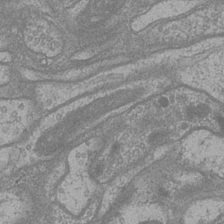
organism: Drosophila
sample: Optic medulla